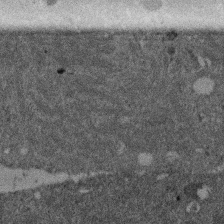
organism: Mouse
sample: Dividing mouse embryo 1 cell stage